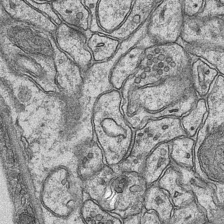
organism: Mouse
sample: CA1 Hippocampus